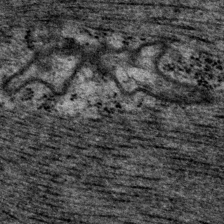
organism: P. pacificus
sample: Pharynx